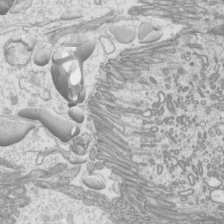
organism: Mouse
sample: Cilia; mouse epididymis